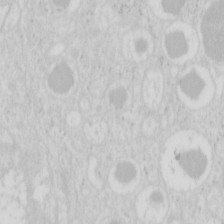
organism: Mouse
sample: Pancreas